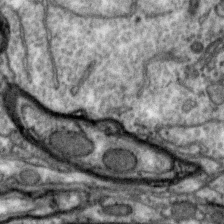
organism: Zebra finch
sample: Brain